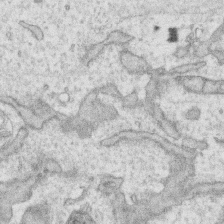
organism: Human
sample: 1205lu cells